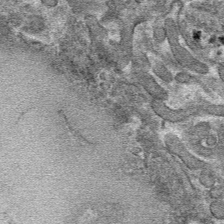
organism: Mouse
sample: Mouse hepatocytes